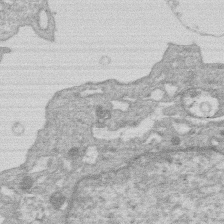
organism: Human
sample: Macrophage cells